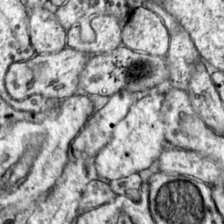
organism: Mouse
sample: Primary visual cortex